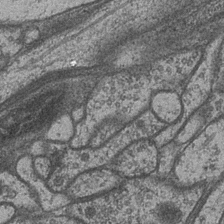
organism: Drosophila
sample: Optic medulla